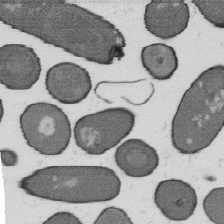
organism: B. subtilis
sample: Bacterial spore